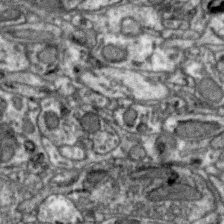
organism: Zebra finch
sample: Brain